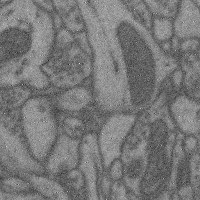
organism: Mouse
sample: Cerebral cortex